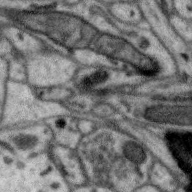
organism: Zebra finch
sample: Brain